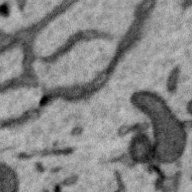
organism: Zebra finch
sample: Brain